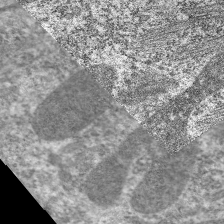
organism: C. elegans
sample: Pharynx